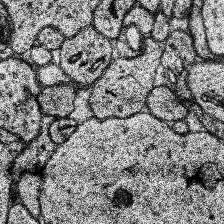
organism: Human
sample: Temporal Lobe